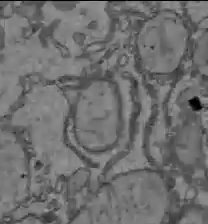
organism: C57BL Mouse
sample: Liver